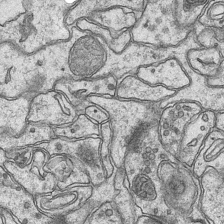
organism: Mouse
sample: CA1 Hippocampus